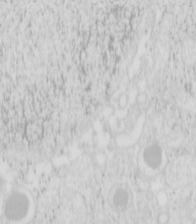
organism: Mouse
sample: Pancreas